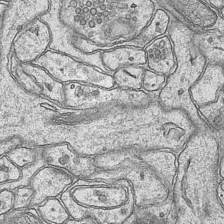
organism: Mouse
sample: CA1 Hippocampus